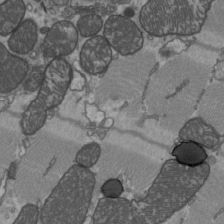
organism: C57BL Mouse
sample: Heart